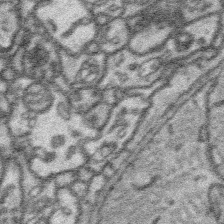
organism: Platynereis dumerilii